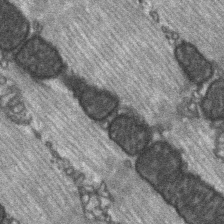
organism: C57BL Mouse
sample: Soleus